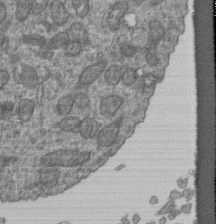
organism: Human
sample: Retinal organoid Rod and Cone cells